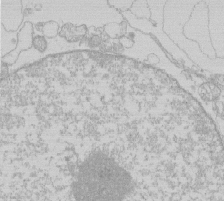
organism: Human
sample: Macrophage cells